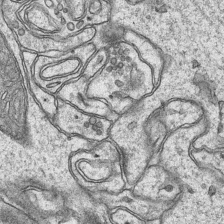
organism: Mouse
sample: CA1 Hippocampus